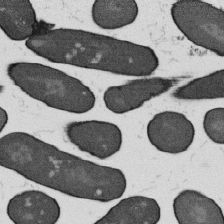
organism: B. subtilis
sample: Bacterial spore